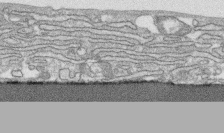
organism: Human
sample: CRL-1474